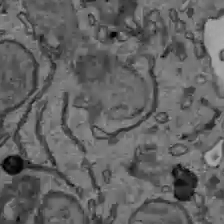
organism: C57BL Mouse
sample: Liver